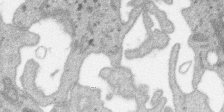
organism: Human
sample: Lung epithelial cells infected with SARS-CoV-2